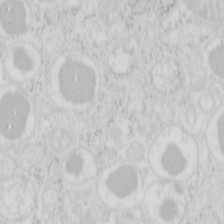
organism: Mouse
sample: Pancreas